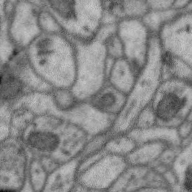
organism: Zebra finch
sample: Brain